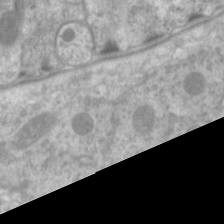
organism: C. elegans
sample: Pharynx